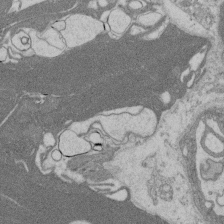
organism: Rat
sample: Salivary granule